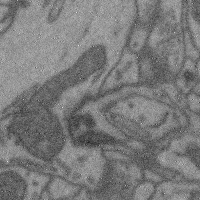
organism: Mouse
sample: Cerebral cortex